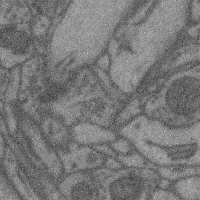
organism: Mouse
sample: Cerebral cortex